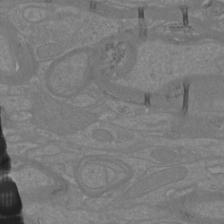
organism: Mouse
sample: Cortical neurons